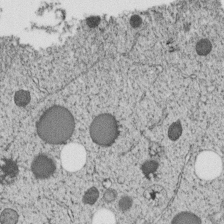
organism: C. elegans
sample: C. elegans embryo early stage